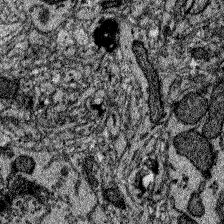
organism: Zebrafish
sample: Larval olfactory bulb